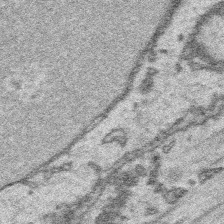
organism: Platynereis dumerilii